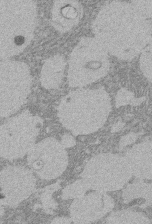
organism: Rat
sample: Salivary granule